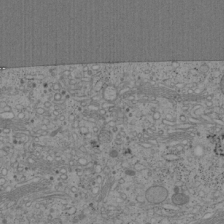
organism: African green monkey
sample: COS-7 cells